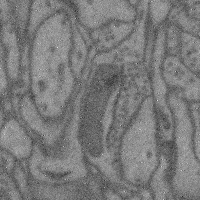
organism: Mouse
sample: Cerebral cortex